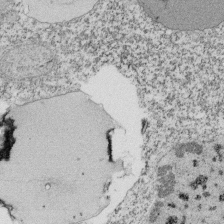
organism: Tetrahymena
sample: Cilia in tetrahymena